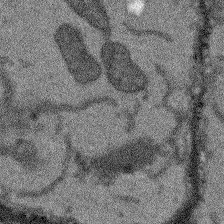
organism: Arabidopsis thaliana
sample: Root tip